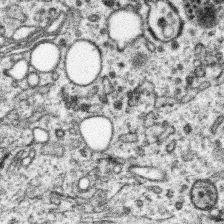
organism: Human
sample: HeLa cells